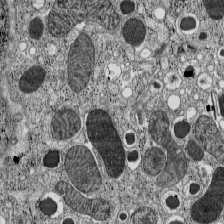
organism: C57BL Mouse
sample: Pancreatic islet